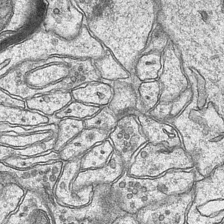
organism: Mouse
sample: CA1 Hippocampus